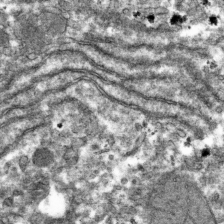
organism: Mouse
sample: Mouse hepatocytes